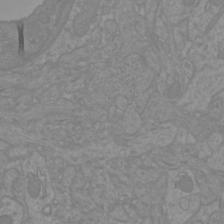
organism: Mouse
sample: Cortical neurons